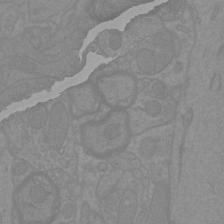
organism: Mouse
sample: Cortical neurons